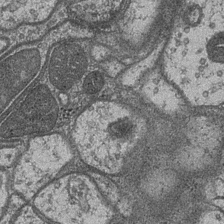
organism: Drosophila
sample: Optic medulla